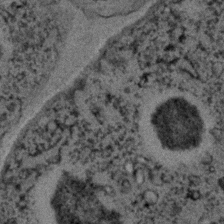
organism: C. elegans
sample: C. elegans embryo